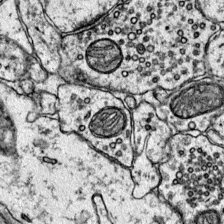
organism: Mouse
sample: Primary visual cortex